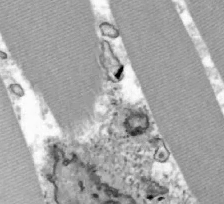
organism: Zebrafish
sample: Actinotrichia fibers